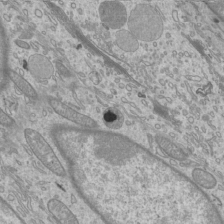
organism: Mouse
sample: Cilia; mouse epididymis